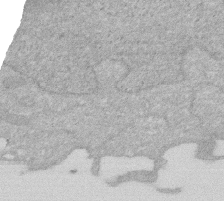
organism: Human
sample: HIV infected U937 cells